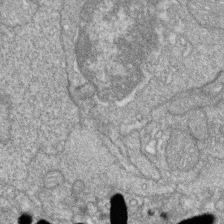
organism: Zebrafish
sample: Cilia; retinal pigment epithelium